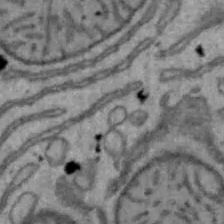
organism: Mouse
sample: Liver